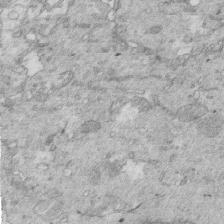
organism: Mouse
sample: Multiciliated cells